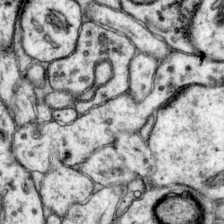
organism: Mouse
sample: Primary visual cortex